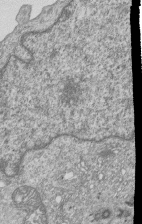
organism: Human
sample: MDA-MB-231 cells